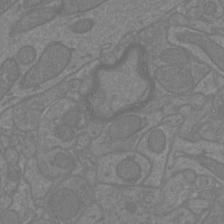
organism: Mouse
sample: Cortical neurons